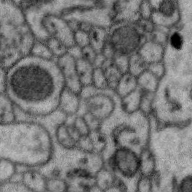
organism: Zebra finch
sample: Brain